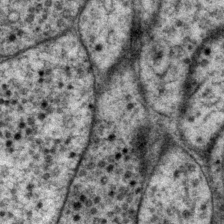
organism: P. pacificus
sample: Pharynx